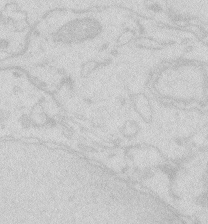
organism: Zebrafish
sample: Macrophage